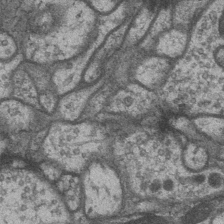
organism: Drosophila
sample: Optic medulla